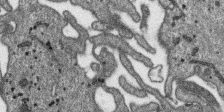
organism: Human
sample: Lung epithelial cells infected with SARS-CoV-2